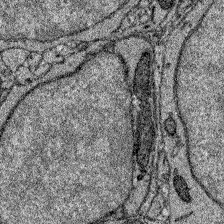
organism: Zebrafish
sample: Larval olfactory bulb